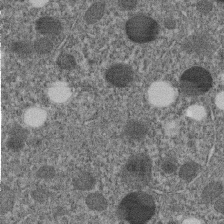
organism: C. elegans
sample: C. elegans embryo early stage